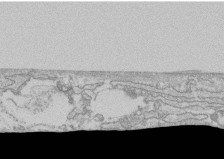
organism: Human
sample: CRL-1474